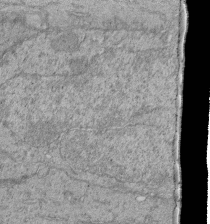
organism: Human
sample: Retinal organoid Rod and Cone cells